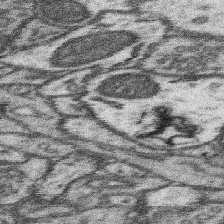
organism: Mouse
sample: Somatosensory cortex neuropil